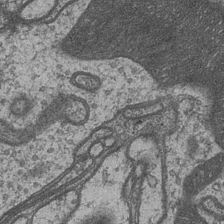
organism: Drosophila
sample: Optic medulla